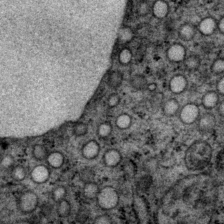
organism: P. pacificus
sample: Pharynx